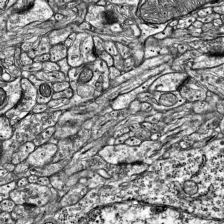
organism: Mouse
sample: Visual Cortex